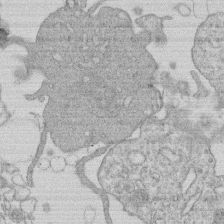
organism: Human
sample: Macrophage cells